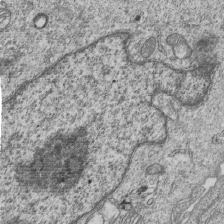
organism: Human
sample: MDA-MB-231 cells